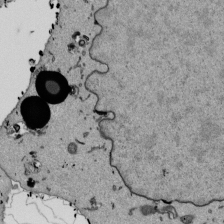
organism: Mouse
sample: ED-1 cell nuclei; centrioles